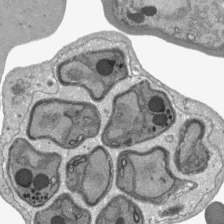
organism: Plasmodium falciparum